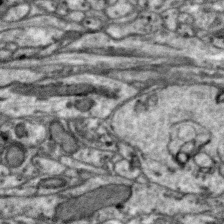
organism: Zebra finch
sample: Brain